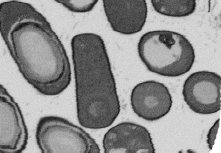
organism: B. subtilis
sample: Bacterial spore